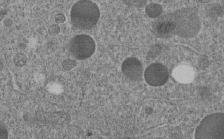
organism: C. elegans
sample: C. elegans embryo early stage